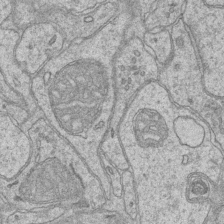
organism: Mouse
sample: CA1 Hippocampus